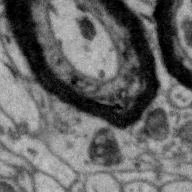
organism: Zebra finch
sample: Brain